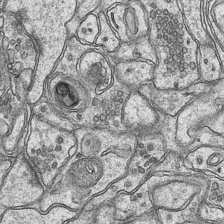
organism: Mouse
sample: CA1 Hippocampus